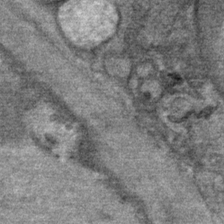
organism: Mouse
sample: Mouse Salivary gland